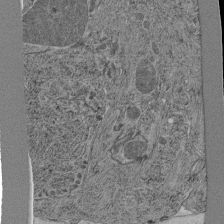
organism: C. elegans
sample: C. elegans pharynx